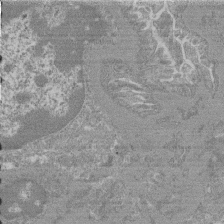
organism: Mouse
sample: Glomerulus